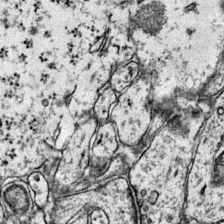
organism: Mouse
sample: Primary visual cortex